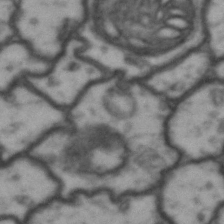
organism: Drosophila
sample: Brain